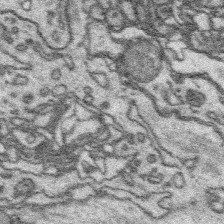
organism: Platynereis dumerilii